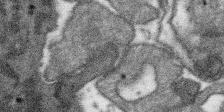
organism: Human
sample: Lung epithelial cells infected with SARS-CoV-2